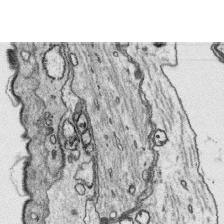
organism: Platynereis dumerilii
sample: Parapodia